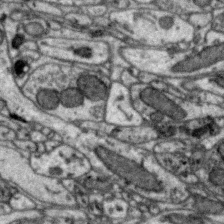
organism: Zebra finch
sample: Brain